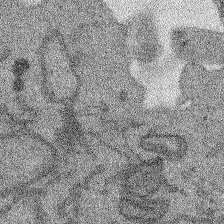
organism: Human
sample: HeLa cells